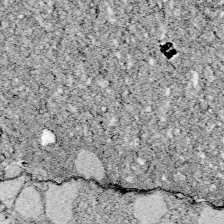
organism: Zebrafish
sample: Whole-Brain